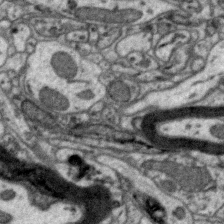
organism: Zebra finch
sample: Brain